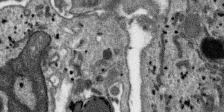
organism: Human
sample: Lung epithelial cells, uninfected (mock) control